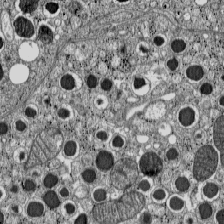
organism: C57BL Mouse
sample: Pancreatic islet